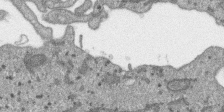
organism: Human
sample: Lung epithelial cells infected with SARS-CoV-2